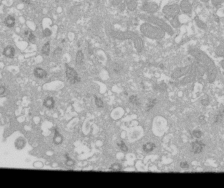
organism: Xenopus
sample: Cilia; centrioles in frog embryo cells